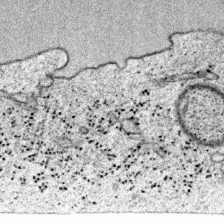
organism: Human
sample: HeLa cells